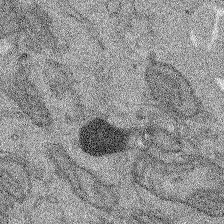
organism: Human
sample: HeLa cells